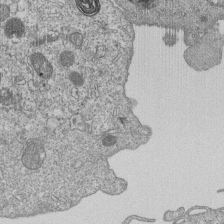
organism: Human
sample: MDA-MB-231 cells